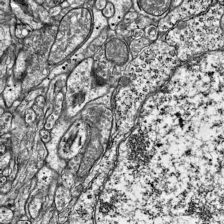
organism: Mouse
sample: Visual Cortex